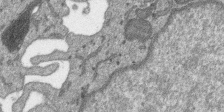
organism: Human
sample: Lung epithelial cells infected with SARS-CoV-2